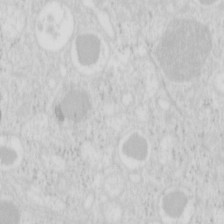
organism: Mouse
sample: Pancreas